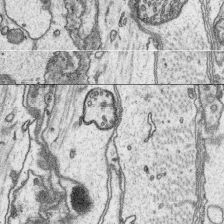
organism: Platynereis dumerilii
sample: Parapodia